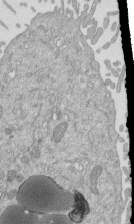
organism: Mouse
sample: ED-1 cell nuclei; centrioles